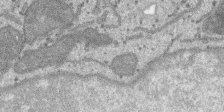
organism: Human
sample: Lung epithelial cells infected with SARS-CoV-2